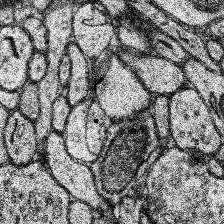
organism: Human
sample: Temporal Lobe